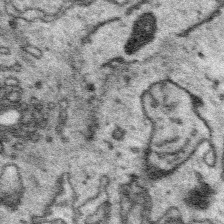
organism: Platynereis dumerilii